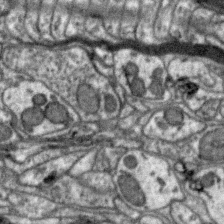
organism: Zebra finch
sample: Brain